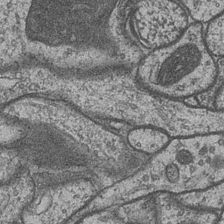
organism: Drosophila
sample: Optic medulla